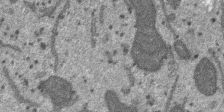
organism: Human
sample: Lung epithelial cells infected with SARS-CoV-2